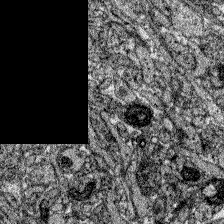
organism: Zebrafish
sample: Larval olfactory bulb